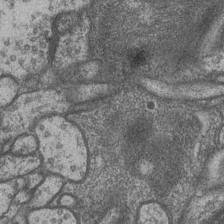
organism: Drosophila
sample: Optic medulla